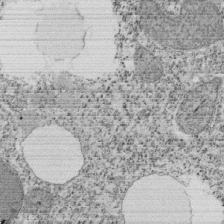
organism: Tetrahymena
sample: Cilia in tetrahymena